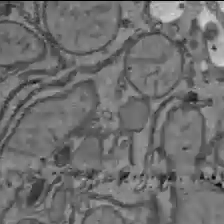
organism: C57BL Mouse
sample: Liver